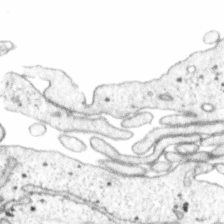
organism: Human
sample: HeLa cells